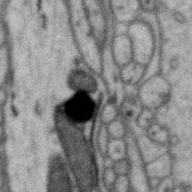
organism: Zebra finch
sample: Brain